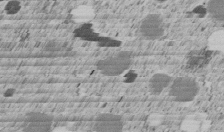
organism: C. elegans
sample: C. elegans embryo early stage